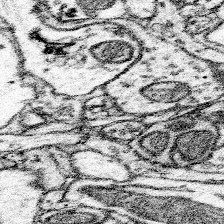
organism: Mouse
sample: Somatosensory cortex neuropil